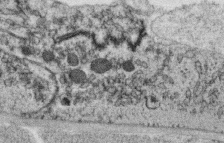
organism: C. elegans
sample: C. elegans oocyte; sperm cells